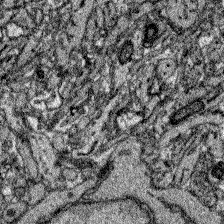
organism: Zebrafish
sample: Larval olfactory bulb